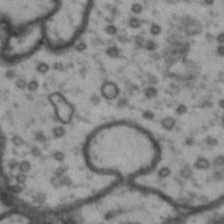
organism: Drosophila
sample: Brain